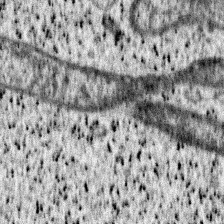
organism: Human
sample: HeLa cells